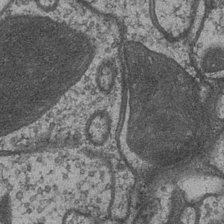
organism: Drosophila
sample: Optic medulla